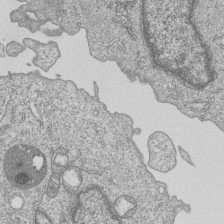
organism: Human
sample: MDA-MB-231 cells